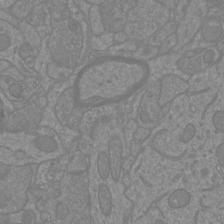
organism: Mouse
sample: Cortical neurons